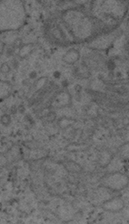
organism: Human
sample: HeLa cells